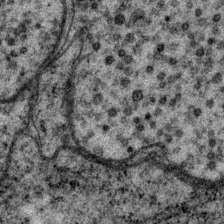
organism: P. pacificus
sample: Pharynx